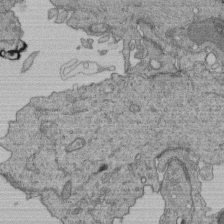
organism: Human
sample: Retinal organoid Rod and Cone cells